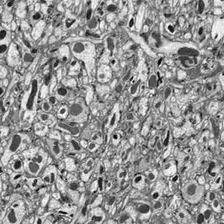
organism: Drosophila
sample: Optic lobe